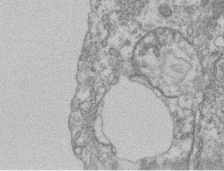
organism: Mouse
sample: T cell stromal cell synapse